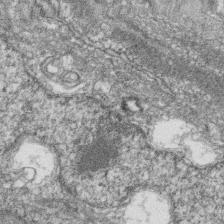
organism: Zebrafish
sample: Cilia; retinal pigment epithelium